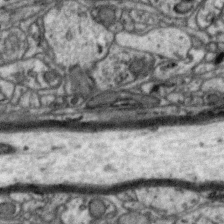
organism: Zebra finch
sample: Brain